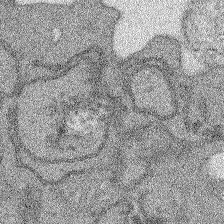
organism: Human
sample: HeLa cells